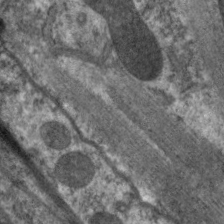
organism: C. elegans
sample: Pharynx